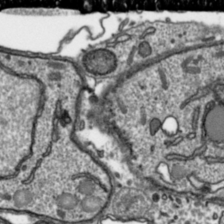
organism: Toxoplasma gondii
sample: Parasites in a vacuole inside a host cell